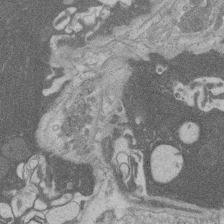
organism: Rat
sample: Salivary granule